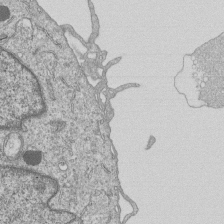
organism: Human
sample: MDA-MB-231 cells